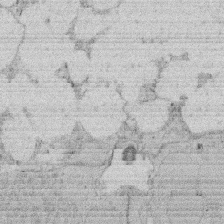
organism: Rat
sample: Salivary granule